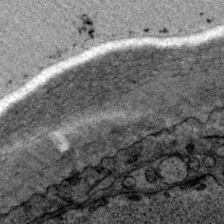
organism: P. pacificus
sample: Pharynx